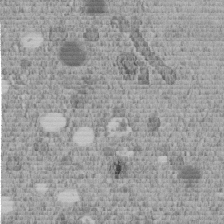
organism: C. elegans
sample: C. elegans embryo early stage